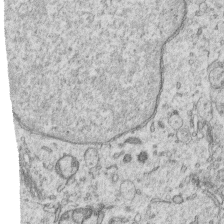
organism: Human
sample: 1205lu cells